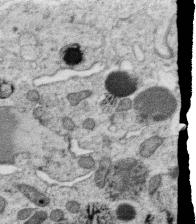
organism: C. elegans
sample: C. elegans oocyte; sperm cells